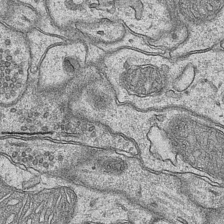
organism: Mouse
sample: CA1 Hippocampus